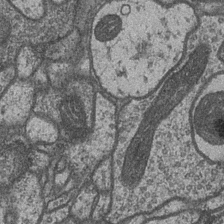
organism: Drosophila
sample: Optic medulla